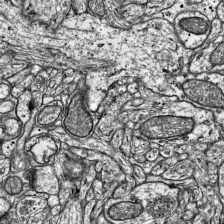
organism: Mouse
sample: Visual Cortex